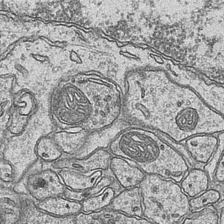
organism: Mouse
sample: CA1 Hippocampus